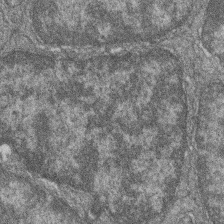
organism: Zebrafish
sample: Cilia; retinal pigment epithelium